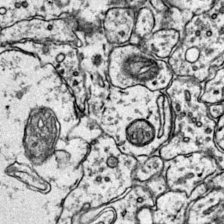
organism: Mouse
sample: Primary visual cortex